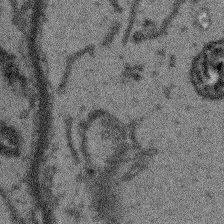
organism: Arabidopsis thaliana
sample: Root tip